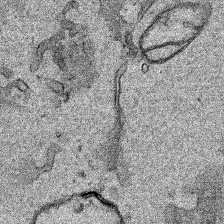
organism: Human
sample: Mitochondria in HCT116 cells